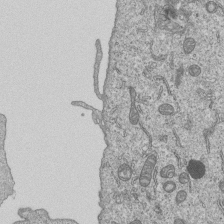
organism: Human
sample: MDA-MB-231 cells